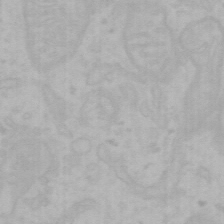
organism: Mouse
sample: Choroid plexus